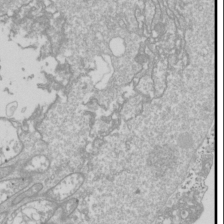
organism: Drosophila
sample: Cell division; meiosis; drosophila spermatocytes